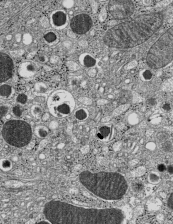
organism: C57BL Mouse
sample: Pancreatic islet